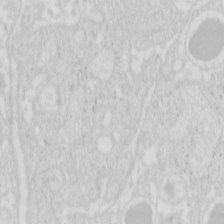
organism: Mouse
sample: Pancreas